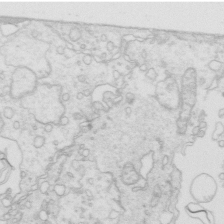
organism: Mouse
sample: Multiciliated cells